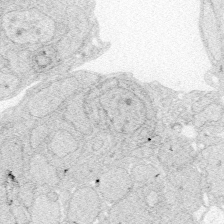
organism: Zebrafish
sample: Whole-Brain